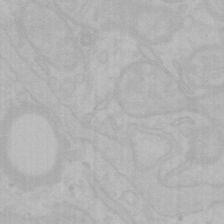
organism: Mouse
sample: Choroid plexus